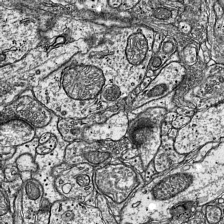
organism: Mouse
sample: Visual Cortex